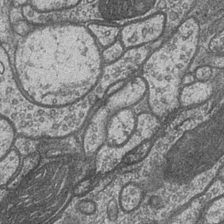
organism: Drosophila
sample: Optic medulla